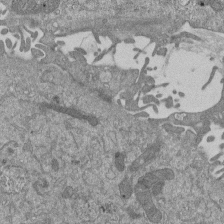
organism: Mouse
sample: ED-1 cell nuclei; centrioles